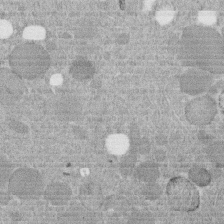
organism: C. elegans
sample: C. elegans embryo early stage